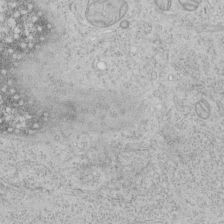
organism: Human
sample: Mitochondria in HCT116 cells